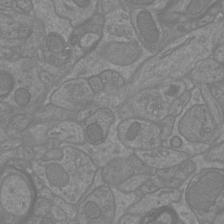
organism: Mouse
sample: Cortical neurons